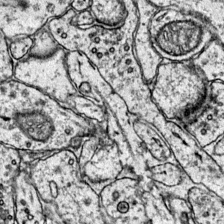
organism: Mouse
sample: Primary visual cortex